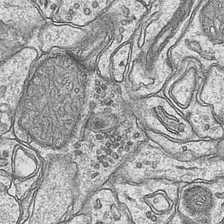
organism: Mouse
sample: CA1 Hippocampus